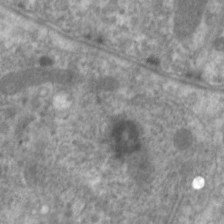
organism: C. elegans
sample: Pharynx